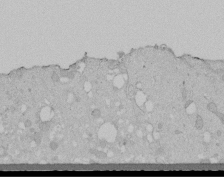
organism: Human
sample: Melanocyte Keratinocyte synapse skin construct